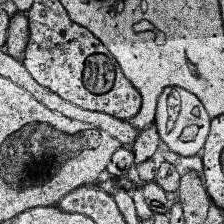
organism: Human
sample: Temporal Lobe